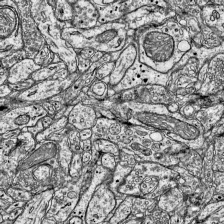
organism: Mouse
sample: Visual Cortex